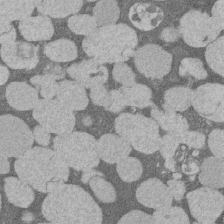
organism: Rat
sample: Salivary granule